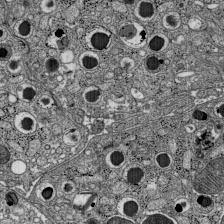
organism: C57BL Mouse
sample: Pancreatic islet